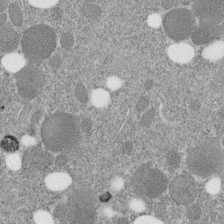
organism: C. elegans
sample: C. elegans embryo early stage